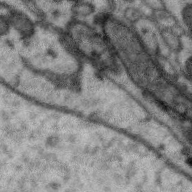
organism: Zebra finch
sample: Brain